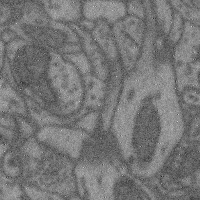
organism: Mouse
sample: Cerebral cortex